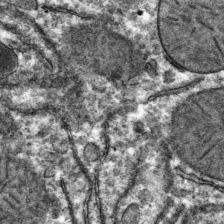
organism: Mouse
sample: Mouse hepatocytes